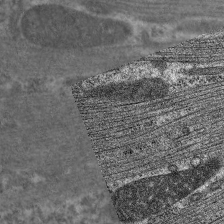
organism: C. elegans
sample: Pharynx